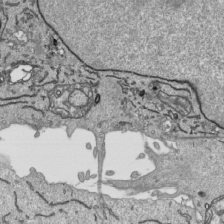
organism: Human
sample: Mitochondria in HCT116 cells